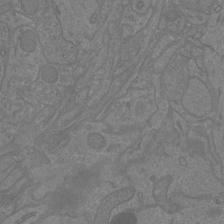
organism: Mouse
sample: Cortical neurons